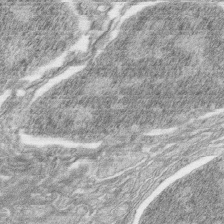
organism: Zebrafish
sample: synaptic ribbons in rod cells and cone cells